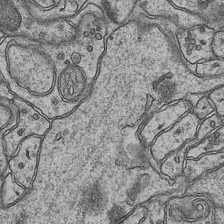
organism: Mouse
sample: CA1 Hippocampus